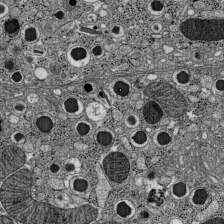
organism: C57BL Mouse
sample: Pancreatic islet